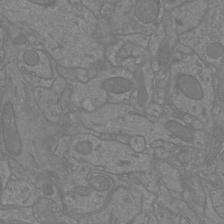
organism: Mouse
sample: Cortical neurons